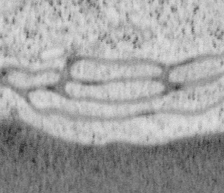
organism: Mouse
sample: OT-I killer T cells with ID8 ovarian cancer cells